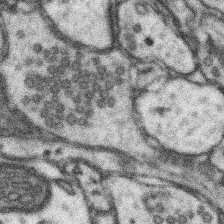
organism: Mouse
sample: Somatosensory cortex neuropil